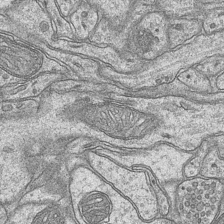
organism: Mouse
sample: CA1 Hippocampus